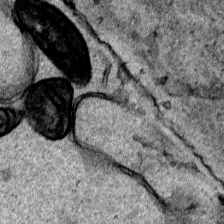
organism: Human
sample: Mitochondria in HCT116 cells